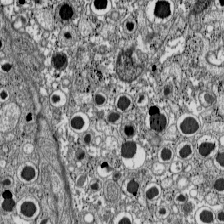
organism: C57BL Mouse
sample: Pancreatic islet